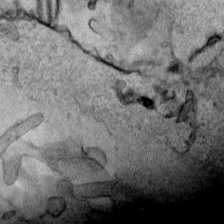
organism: Human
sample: Mitochondria in HCT116 cells